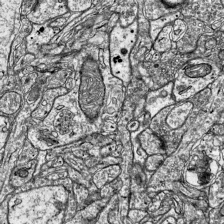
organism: Mouse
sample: Visual Cortex